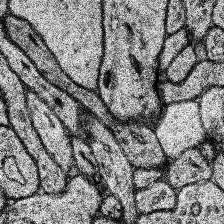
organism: Human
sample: Temporal Lobe